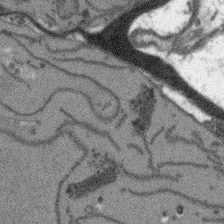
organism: Arabidopsis thaliana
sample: Root tip